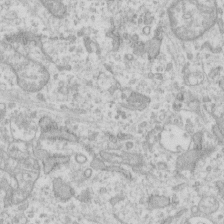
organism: Human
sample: Fibroblast cells